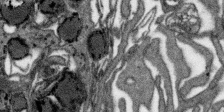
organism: Human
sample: Lung epithelial cells, uninfected (mock) control